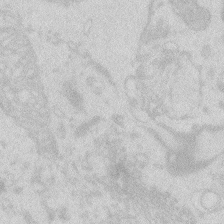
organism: Zebrafish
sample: Macrophage